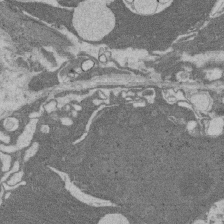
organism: Rat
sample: Salivary granule